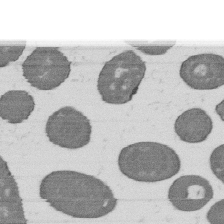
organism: B. subtilis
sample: Bacterial spore